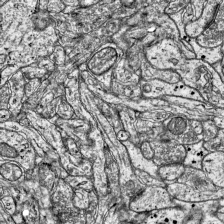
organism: Mouse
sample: Visual Cortex